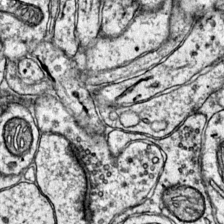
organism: Mouse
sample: Primary visual cortex